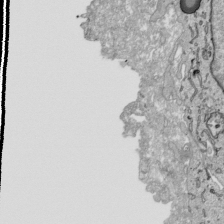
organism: Human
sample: Mitochondria in HCT116 cells